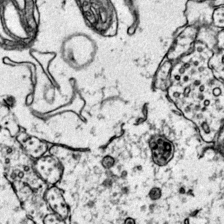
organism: Mouse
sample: Primary visual cortex